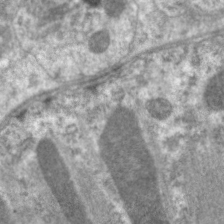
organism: C. elegans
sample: Pharynx